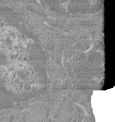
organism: Mouse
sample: Glomerulus